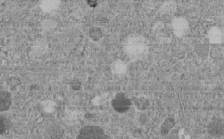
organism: C. elegans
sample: C. elegans embryo early stage